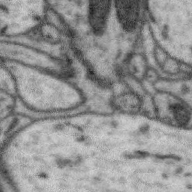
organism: Zebra finch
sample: Brain